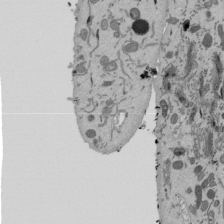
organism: Mouse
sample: ED-1 cell nuclei; centrioles